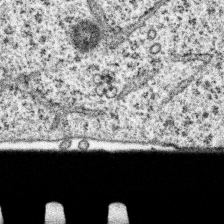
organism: Human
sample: HeLa cells